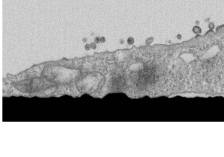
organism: Human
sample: HeLa cell HIV synapse